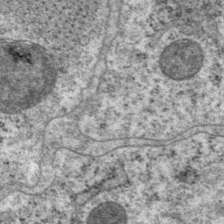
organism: P. pacificus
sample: Pharynx